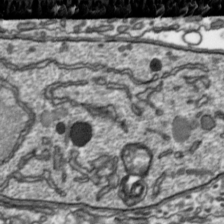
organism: Toxoplasma gondii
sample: Parasites in a vacuole inside a host cell